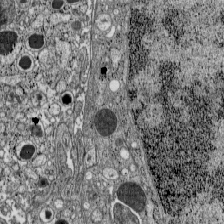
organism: C57BL Mouse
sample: Pancreatic islet